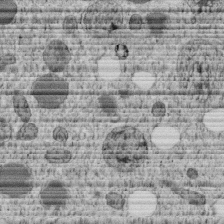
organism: C. elegans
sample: C. elegans embryo early stage